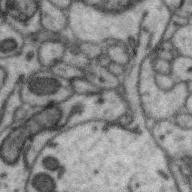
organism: Zebra finch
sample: Brain